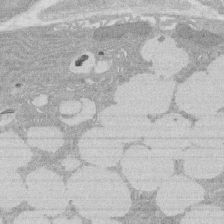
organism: Rat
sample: Salivary granule